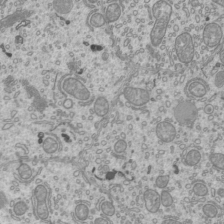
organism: Mouse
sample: Cilia; mouse epididymis